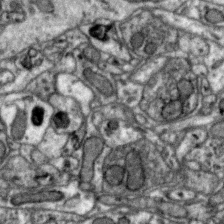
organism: Zebra finch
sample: Brain